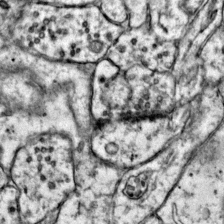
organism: Mouse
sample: Primary visual cortex